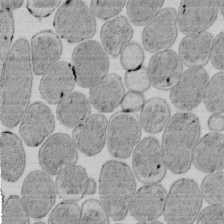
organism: E. coli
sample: Bacterial nucleoid